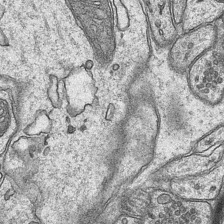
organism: Mouse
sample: CA1 Hippocampus